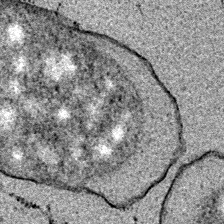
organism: E. coli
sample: E. Coli Bacteria